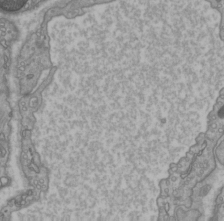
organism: C57BL Mouse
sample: Heart